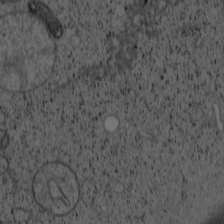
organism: African green monkey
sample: COS-7 cells